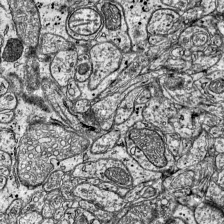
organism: Mouse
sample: Visual Cortex